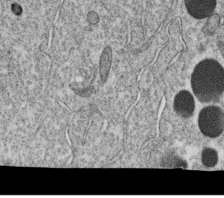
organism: C. elegans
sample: C. elegans oocyte; sperm cells